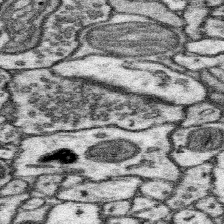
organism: Mouse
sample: Somatosensory cortex neuropil